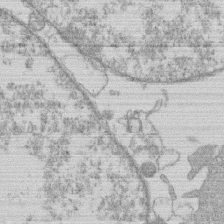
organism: Human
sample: Macrophage cells